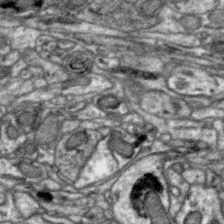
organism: Zebra finch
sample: Brain